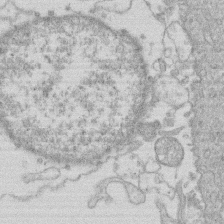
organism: Human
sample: Macrophage cells